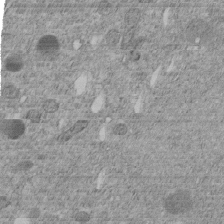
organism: C. elegans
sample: C. elegans embryo early stage